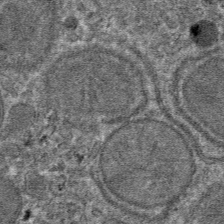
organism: Mouse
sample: Mouse hepatocytes